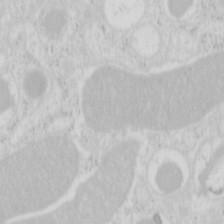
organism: Mouse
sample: Pancreas